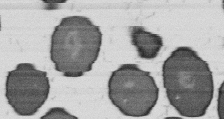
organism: B. subtilis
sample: Bacterial spore